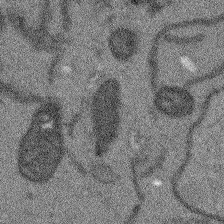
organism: Arabidopsis thaliana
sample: Root tip